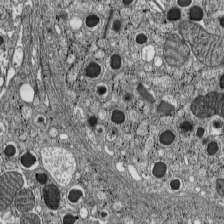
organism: C57BL Mouse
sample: Pancreatic islet